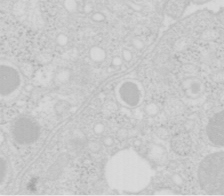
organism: Mouse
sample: Pancreas